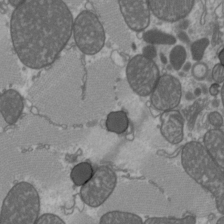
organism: C57BL Mouse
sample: Heart